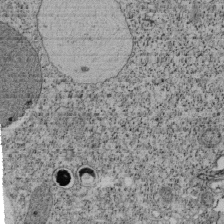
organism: Tetrahymena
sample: Cilia in tetrahymena